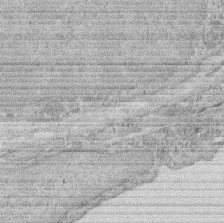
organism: Rat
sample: Salivary granule